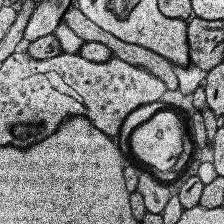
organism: Human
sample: Temporal Lobe